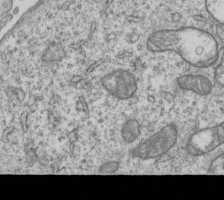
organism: Human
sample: MDA-MB-231 cells